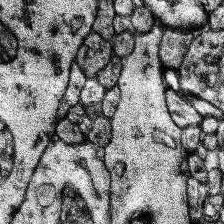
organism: Human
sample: Temporal Lobe